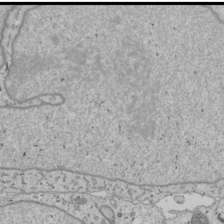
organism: Human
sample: Mitochondria in U2OS cells